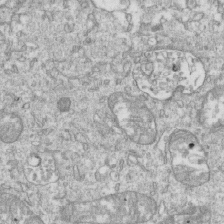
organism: Mouse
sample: Activated OT-1 CD8+ T cells